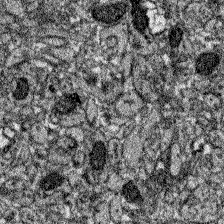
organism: Zebrafish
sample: Larval olfactory bulb